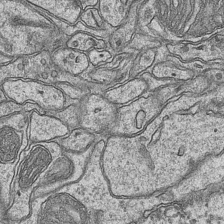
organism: Mouse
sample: CA1 Hippocampus